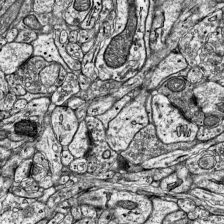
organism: Mouse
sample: Visual Cortex